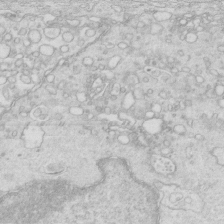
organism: Mouse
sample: Multiciliated cells